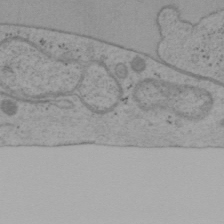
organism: Human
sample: HeLa cells